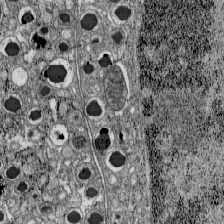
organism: C57BL Mouse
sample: Pancreatic islet